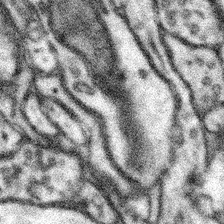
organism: Mouse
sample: Somatosensory cortex neuropil